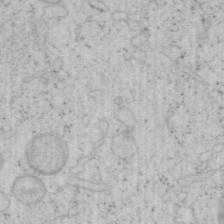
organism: Human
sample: HeLa cells